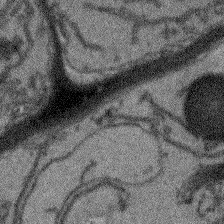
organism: Arabidopsis thaliana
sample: Root tip